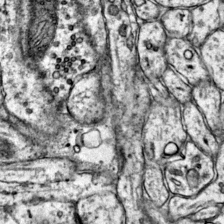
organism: Mouse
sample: Primary visual cortex